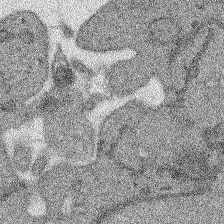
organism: Human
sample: HeLa cells